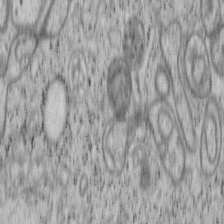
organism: Human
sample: HeLa cells